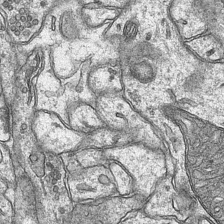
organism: Mouse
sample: CA1 Hippocampus